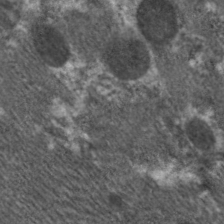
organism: C. elegans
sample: Pharynx